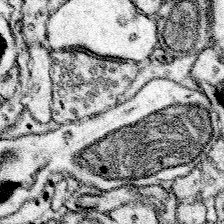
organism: Mouse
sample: Somatosensory cortex neuropil